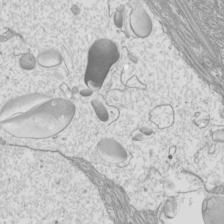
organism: Mouse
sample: Cilia; mouse epididymis